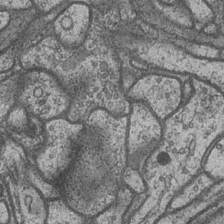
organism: Drosophila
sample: Optic medulla